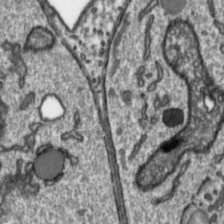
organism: Toxoplasma gondii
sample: Parasites in a vacuole inside a host cell